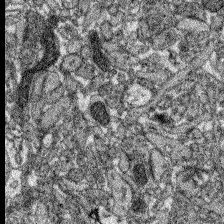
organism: Zebrafish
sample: Larval olfactory bulb